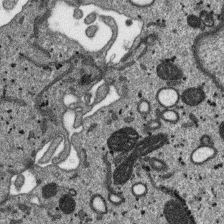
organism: Human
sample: Lung epithelial cells infected with SARS-CoV-2